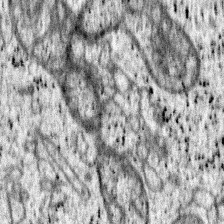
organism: Human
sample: HeLa cells